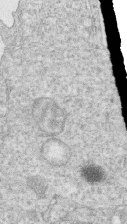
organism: Human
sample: HeLa cell HIV synapse